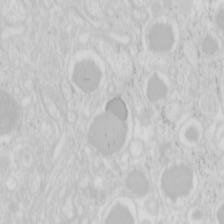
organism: Mouse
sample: Pancreas